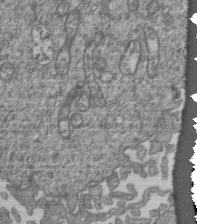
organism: Human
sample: Retinal organoid Rod and Cone cells